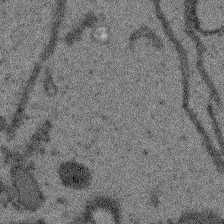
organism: Arabidopsis thaliana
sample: Root tip